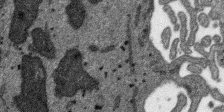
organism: Human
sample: Lung epithelial cells infected with SARS-CoV-2